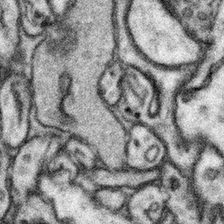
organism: Mouse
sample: Somatosensory cortex neuropil